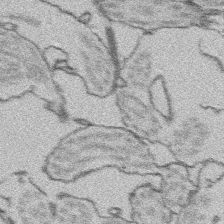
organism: Platynereis dumerilii